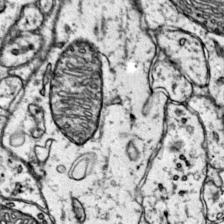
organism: Mouse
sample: Primary visual cortex